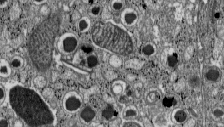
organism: C57BL Mouse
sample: Pancreatic islet